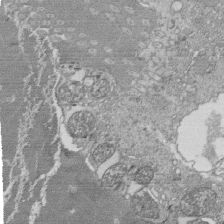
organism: Tetrahymena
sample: Cilia in tetrahymena